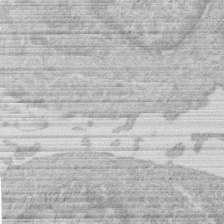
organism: Human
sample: Macrophage cells